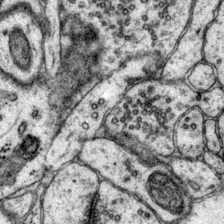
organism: Mouse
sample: Primary visual cortex